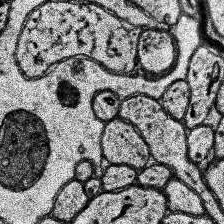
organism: Human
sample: Temporal Lobe